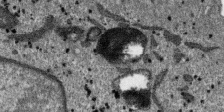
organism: Human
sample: Lung epithelial cells, uninfected (mock) control